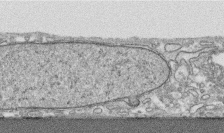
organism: Human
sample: CRL-1474